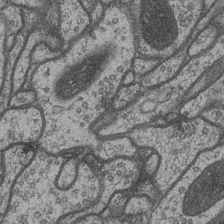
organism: Drosophila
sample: Optic medulla